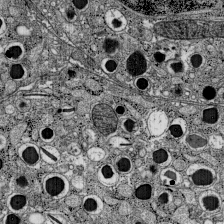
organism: C57BL Mouse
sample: Pancreatic islet